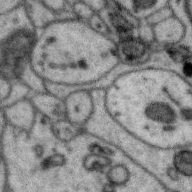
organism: Zebra finch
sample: Brain